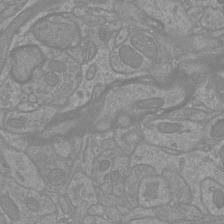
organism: Mouse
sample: Cortical neurons